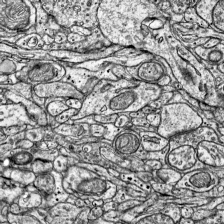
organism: Mouse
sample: Visual Cortex